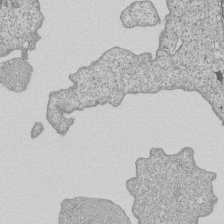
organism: Human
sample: MDA-MB-231 cells